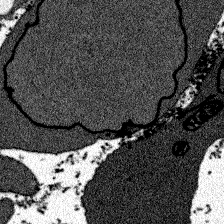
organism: Zebrafish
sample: Larval olfactory bulb